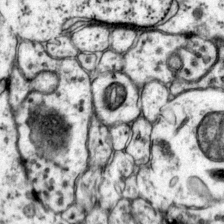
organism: Mouse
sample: Primary visual cortex